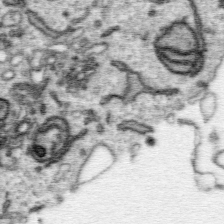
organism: Human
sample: HeLa cells